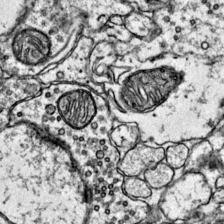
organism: Mouse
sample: Primary visual cortex